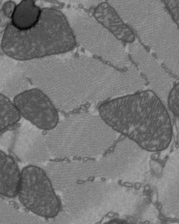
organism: C57BL Mouse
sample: Heart